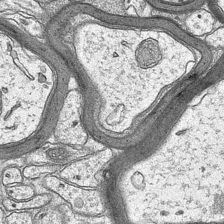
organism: Mouse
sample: CA1 Hippocampus